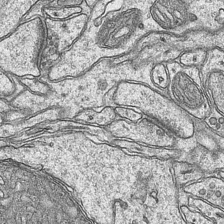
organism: Mouse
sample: CA1 Hippocampus